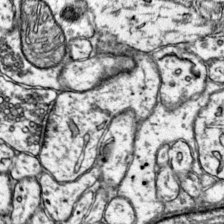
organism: Mouse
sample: Primary visual cortex